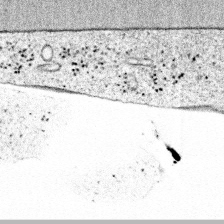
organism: Human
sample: HeLa cells